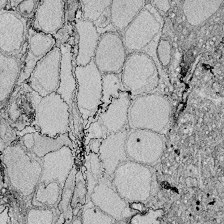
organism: Zebrafish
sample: Whole-Brain